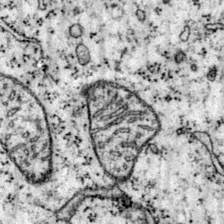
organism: Mouse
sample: Primary visual cortex